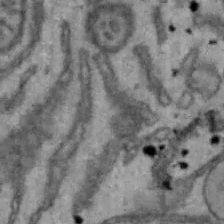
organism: Mouse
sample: Liver